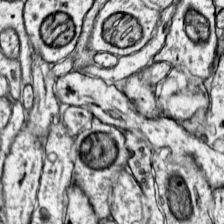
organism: Mouse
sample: Primary visual cortex